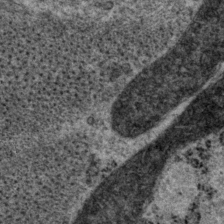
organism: P. pacificus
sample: Pharynx